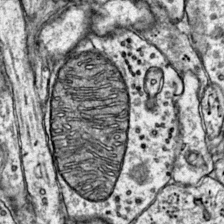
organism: Mouse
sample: Primary visual cortex